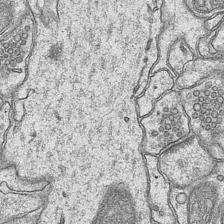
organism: Mouse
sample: CA1 Hippocampus